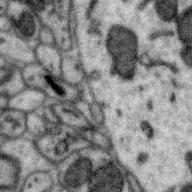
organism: Zebra finch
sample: Brain